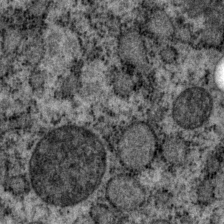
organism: P. pacificus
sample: Pharynx